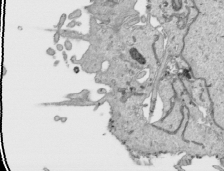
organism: Human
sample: Mitochondria in HCT116 cells